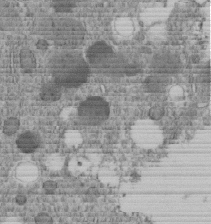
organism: C. elegans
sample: C. elegans embryo early stage